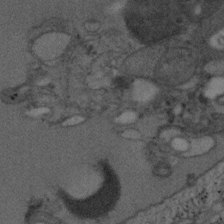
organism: Human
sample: HeLa cells